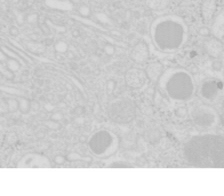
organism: Mouse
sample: Pancreas